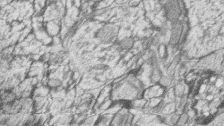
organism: Zebrafish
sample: synaptic ribbons in rod cells and cone cells